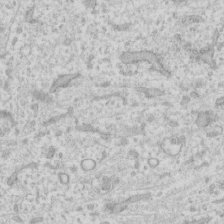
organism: Human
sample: Fibroblast cells